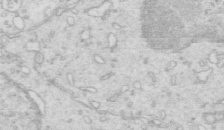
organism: Mouse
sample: Multiciliated cells